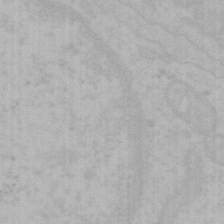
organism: Mouse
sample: Choroid plexus